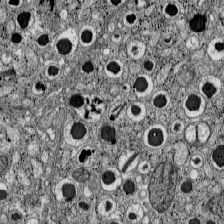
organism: C57BL Mouse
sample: Pancreatic islet